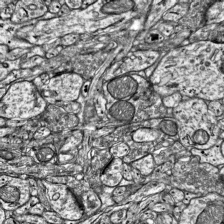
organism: Mouse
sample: Visual Cortex